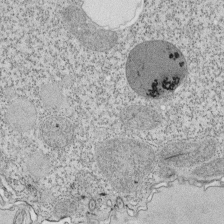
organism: Tetrahymena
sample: Cilia in tetrahymena